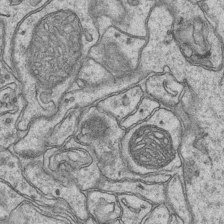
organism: Mouse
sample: CA1 Hippocampus